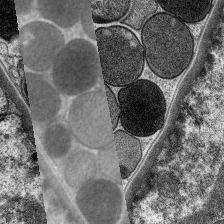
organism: C. elegans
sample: Pharynx